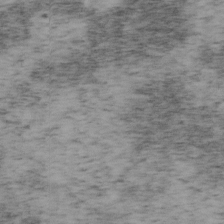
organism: Mouse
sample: OT-I killer T cells with ID8 ovarian cancer cells